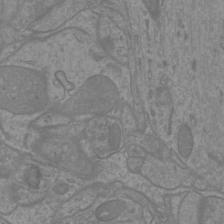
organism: Mouse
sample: Cortical neurons